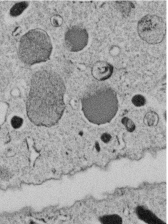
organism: C. elegans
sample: C. elegans embryo early stage